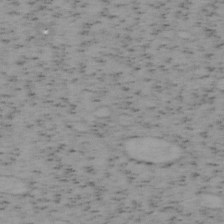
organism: Mouse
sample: OT-I killer T cells with ID8 ovarian cancer cells